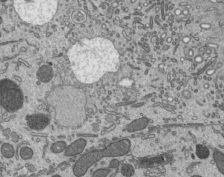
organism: Mouse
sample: Mouse epididymis efferent ductule cilia